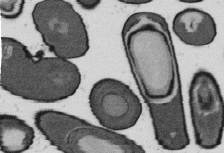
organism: B. subtilis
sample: Bacterial spore